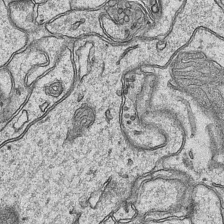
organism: Mouse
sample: CA1 Hippocampus